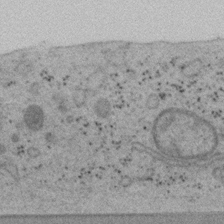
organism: Human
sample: HeLa cells